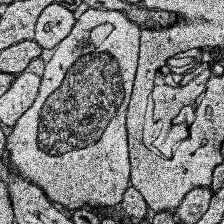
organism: Human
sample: Temporal Lobe